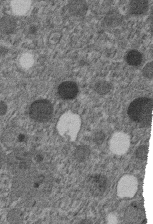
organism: C. elegans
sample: C. elegans embryo early stage